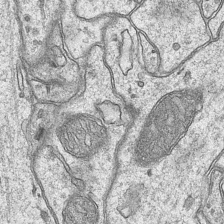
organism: Mouse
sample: CA1 Hippocampus